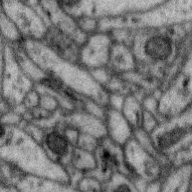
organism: Zebra finch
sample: Brain